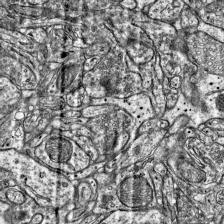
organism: Mouse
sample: Visual Cortex